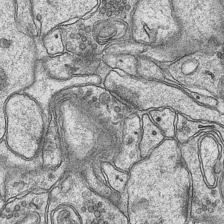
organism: Mouse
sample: CA1 Hippocampus